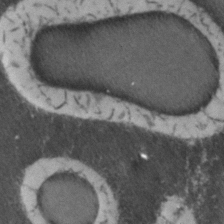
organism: Zebrafish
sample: Zebrafish embryo